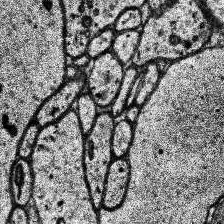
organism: Human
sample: Temporal Lobe